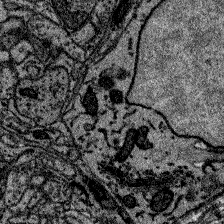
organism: Zebrafish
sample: Larval olfactory bulb